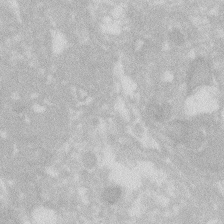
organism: Zebrafish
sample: Macrophage